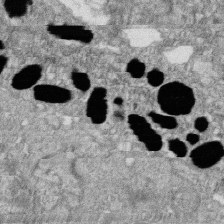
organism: Zebrafish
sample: Cilia; retinal pigment epithelium